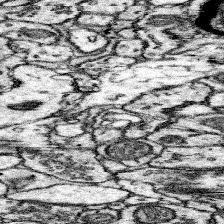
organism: Mouse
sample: Somatosensory cortex neuropil